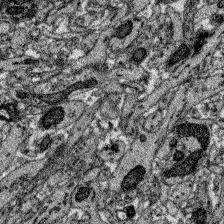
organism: Zebrafish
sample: Larval olfactory bulb